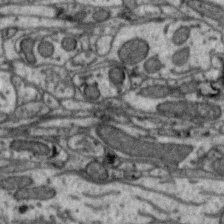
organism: Zebra finch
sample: Brain